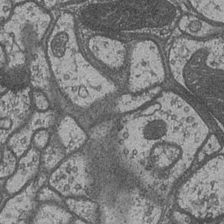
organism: Drosophila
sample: Optic medulla